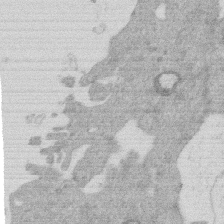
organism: Mouse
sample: Dividing mouse embryo 1 cell stage